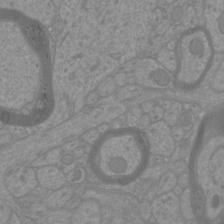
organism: Mouse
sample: Cortical neurons